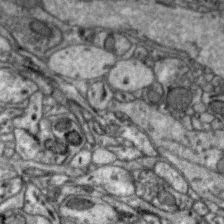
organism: Zebra finch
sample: Brain